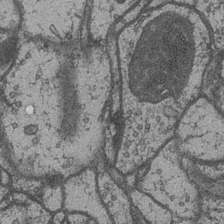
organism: Drosophila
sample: Optic medulla